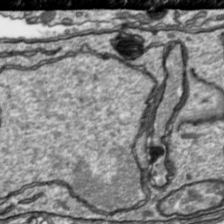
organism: Toxoplasma gondii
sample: Parasites in a vacuole inside a host cell